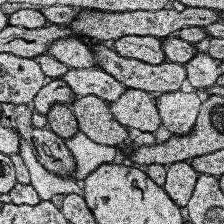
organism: Human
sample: Temporal Lobe